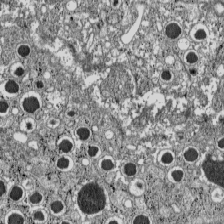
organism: C57BL Mouse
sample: Pancreatic islet